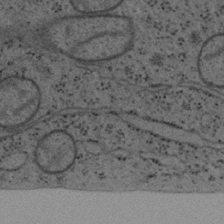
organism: Human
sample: HeLa cells